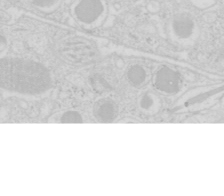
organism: Mouse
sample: Pancreas